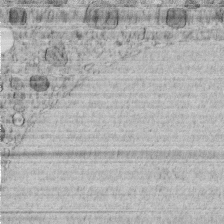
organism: C. elegans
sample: C. elegans embryo early stage